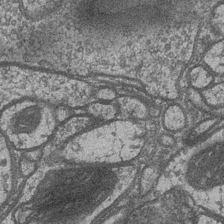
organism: Drosophila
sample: Optic medulla